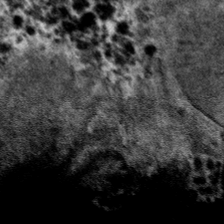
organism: Mouse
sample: Mouse hepatocytes